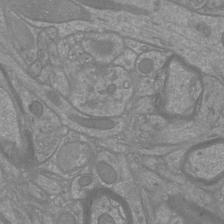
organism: Mouse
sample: Cortical neurons